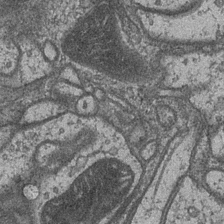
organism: Drosophila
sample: Optic medulla